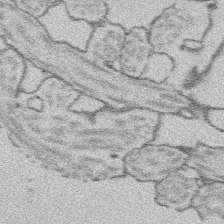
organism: Platynereis dumerilii